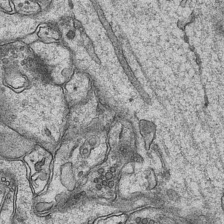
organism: Mouse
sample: CA1 Hippocampus